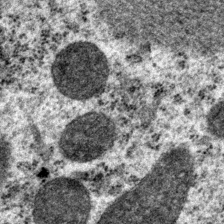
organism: P. pacificus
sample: Pharynx